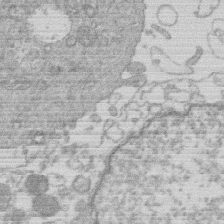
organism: Human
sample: Macrophage cells